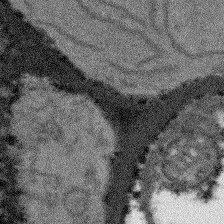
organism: Arabidopsis thaliana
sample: Root tip